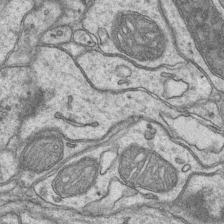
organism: Mouse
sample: CA1 Hippocampus